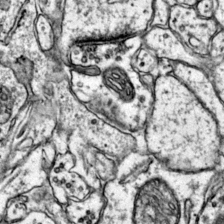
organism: Mouse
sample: Primary visual cortex